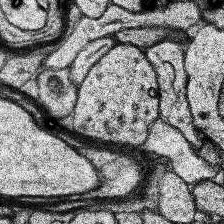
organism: Human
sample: Temporal Lobe